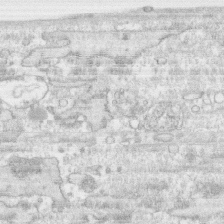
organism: Human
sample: CRL-1474